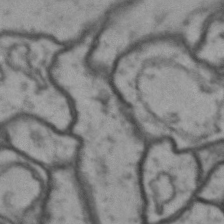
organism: Drosophila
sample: Brain